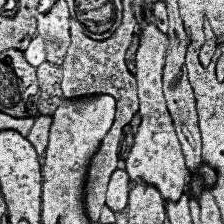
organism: Human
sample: Temporal Lobe